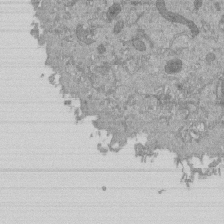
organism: Mouse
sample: ED-1 cell nuclei; centrioles